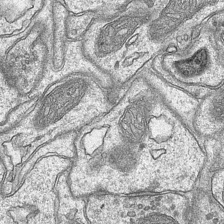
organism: Mouse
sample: CA1 Hippocampus